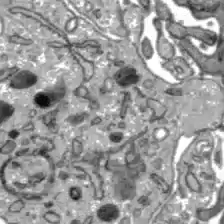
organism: C57BL Mouse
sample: Liver